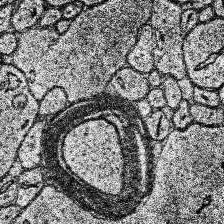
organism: Human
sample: Temporal Lobe